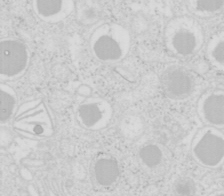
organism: Mouse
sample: Pancreas